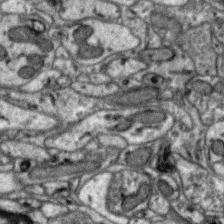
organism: Zebra finch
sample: Brain